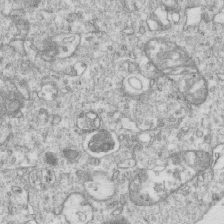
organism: Mouse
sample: Activated OT-1 CD8+ T cells